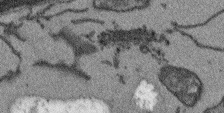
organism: Arabidopsis thaliana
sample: Root tip